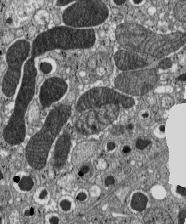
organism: C57BL Mouse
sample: Pancreatic islet